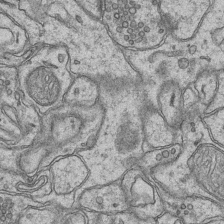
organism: Mouse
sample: CA1 Hippocampus